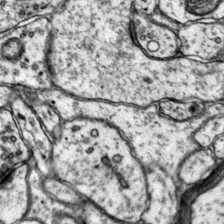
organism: Mouse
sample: Primary visual cortex